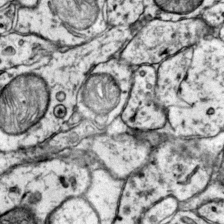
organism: Mouse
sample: Primary visual cortex